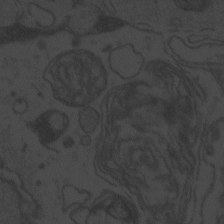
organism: Zebrafish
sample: Macrophage infected with Toxoplasma gondii